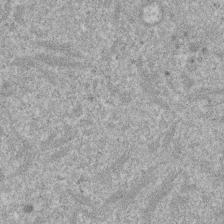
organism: Mouse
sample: Dividing mouse embryo 1 cell stage